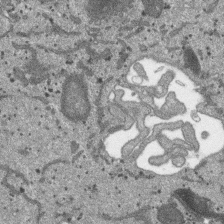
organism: Human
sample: Lung epithelial cells infected with SARS-CoV-2